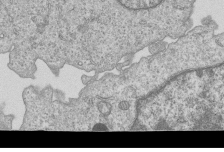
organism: Human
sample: MDA-MB-231 cells